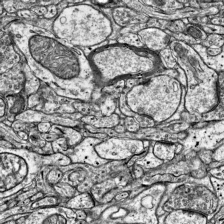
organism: Mouse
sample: Visual Cortex